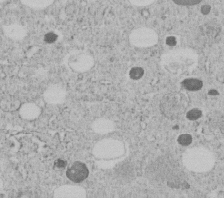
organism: C. elegans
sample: C. elegans embryo early stage